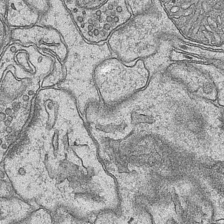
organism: Mouse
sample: CA1 Hippocampus